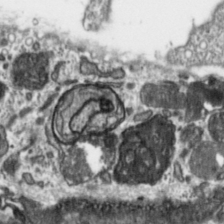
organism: Toxoplasma gondii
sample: Parasites in a vacuole inside a host cell